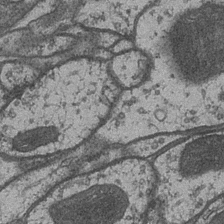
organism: Drosophila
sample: Optic medulla